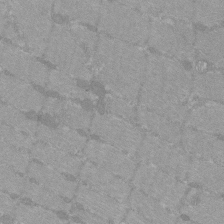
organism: C57BL Mouse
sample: Tibialis anterior muscle cell